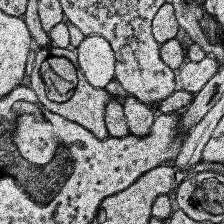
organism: Human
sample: Temporal Lobe